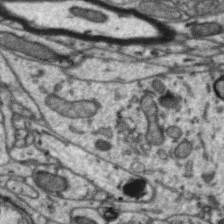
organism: Zebra finch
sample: Brain